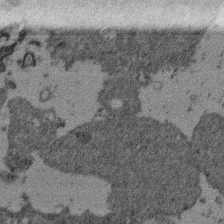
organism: Mouse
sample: Dividing mouse embryo 1 cell stage